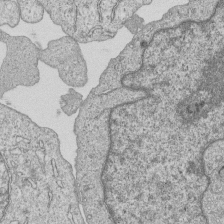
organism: Human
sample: MDA-MB-231 cells